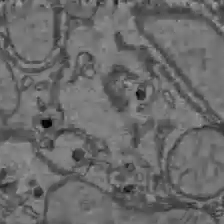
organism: C57BL Mouse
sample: Liver